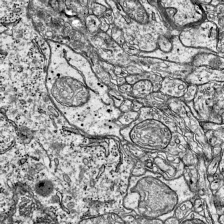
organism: Mouse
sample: Visual Cortex